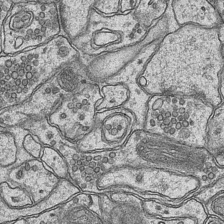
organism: Mouse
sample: CA1 Hippocampus